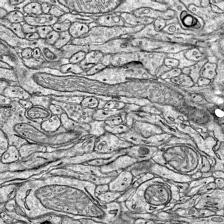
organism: Mouse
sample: Visual Cortex